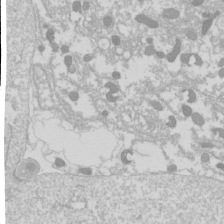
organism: Drosophila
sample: Cell division; meiosis; drosophila spermatocytes